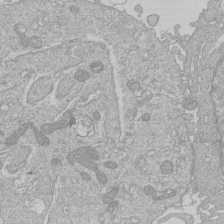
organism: Human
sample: Macrophage cells